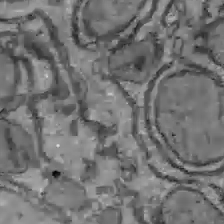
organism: C57BL Mouse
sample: Liver